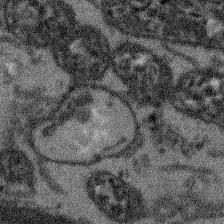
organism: Arabidopsis thaliana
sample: Root tip